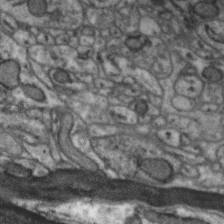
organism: Zebra finch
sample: Brain